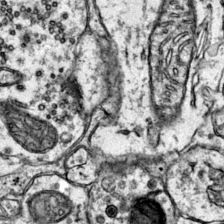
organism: Mouse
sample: Primary visual cortex